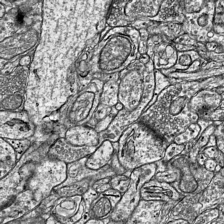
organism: Mouse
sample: Visual Cortex